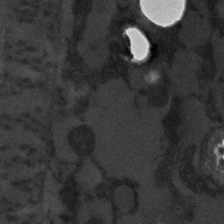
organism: C. elegans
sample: C. elegans embryo